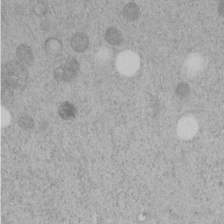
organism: C. elegans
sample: C. elegans embryo early stage